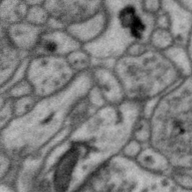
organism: Zebra finch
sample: Brain